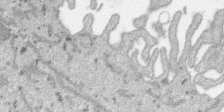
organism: Human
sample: Lung epithelial cells infected with SARS-CoV-2